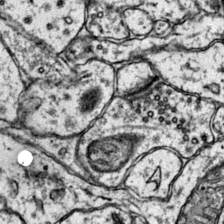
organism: Mouse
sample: Primary visual cortex